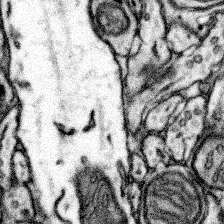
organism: Mouse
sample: Somatosensory cortex neuropil